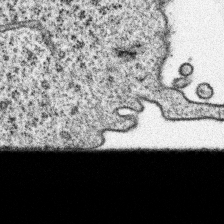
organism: Human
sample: HeLa cells